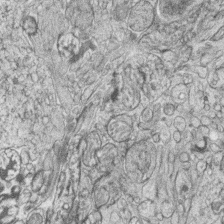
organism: Zebrafish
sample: synaptic ribbons in rod cells and cone cells